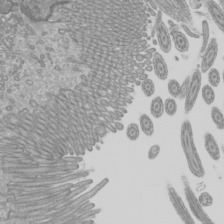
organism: Mouse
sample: Cilia; mouse epididymis